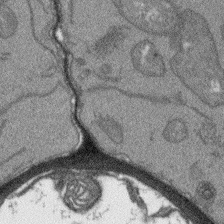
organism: Arabidopsis thaliana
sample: Root tip